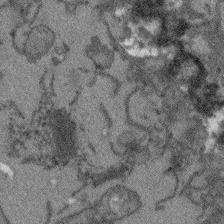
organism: Arabidopsis thaliana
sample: Root tip